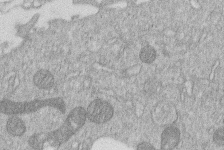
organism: Human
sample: Macrophage cells